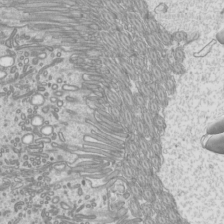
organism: Mouse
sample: Cilia; mouse epididymis